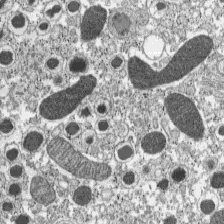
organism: C57BL Mouse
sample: Pancreatic islet